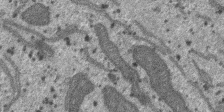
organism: Human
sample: Lung epithelial cells infected with SARS-CoV-2